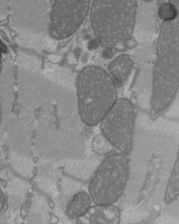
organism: C57BL Mouse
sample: Heart